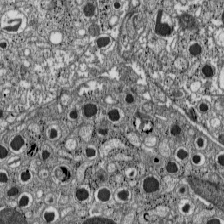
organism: C57BL Mouse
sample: Pancreatic islet